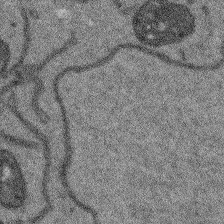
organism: Arabidopsis thaliana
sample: Root tip